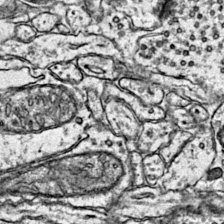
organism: Mouse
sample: Primary visual cortex